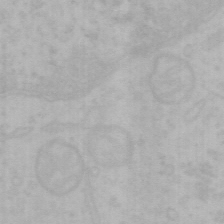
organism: Mouse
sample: Choroid plexus